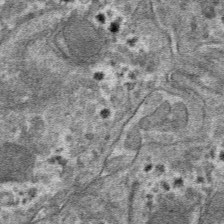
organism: Mouse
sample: Mouse hepatocytes